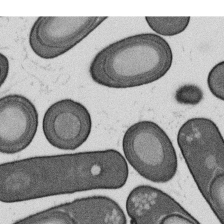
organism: B. subtilis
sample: Bacterial spore